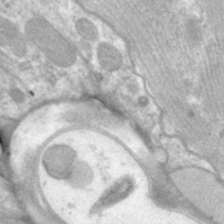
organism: C. elegans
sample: Pharynx